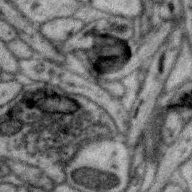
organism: Zebra finch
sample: Brain